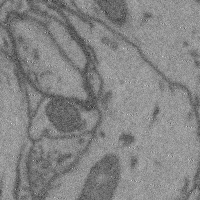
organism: Mouse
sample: Cerebral cortex